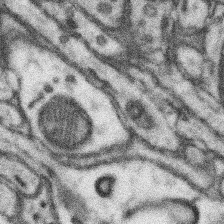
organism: Mouse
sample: Somatosensory cortex neuropil